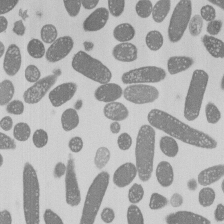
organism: E. coli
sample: Bacterial nucleoid